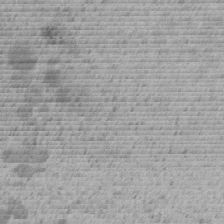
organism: C. elegans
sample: C. elegans embryo early stage